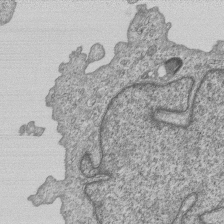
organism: Human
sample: MDA-MB-231 cells